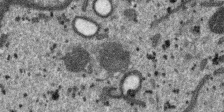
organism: Human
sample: Lung epithelial cells infected with SARS-CoV-2